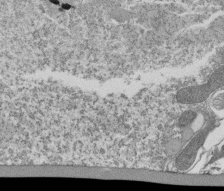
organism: Tetrahymena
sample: Cilia in tetrahymena